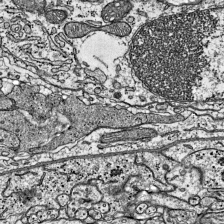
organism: Mouse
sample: Visual Cortex